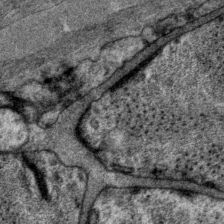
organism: P. pacificus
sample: Pharynx